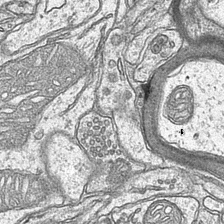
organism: Mouse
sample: CA1 Hippocampus